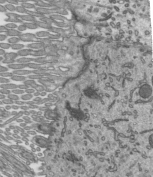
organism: Mouse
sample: Mouse epididymis efferent ductule cilia